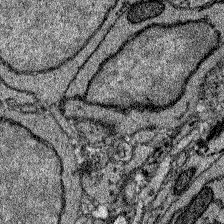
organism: Zebrafish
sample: Larval olfactory bulb